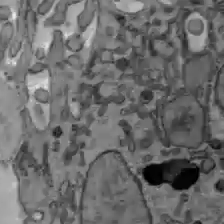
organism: C57BL Mouse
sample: Liver